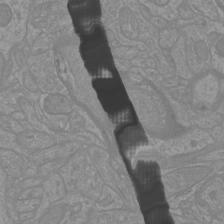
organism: Mouse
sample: Cortical neurons